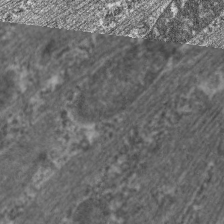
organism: C. elegans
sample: Pharynx